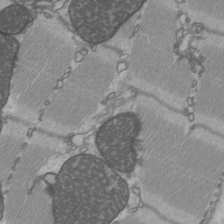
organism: C57BL Mouse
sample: Heart